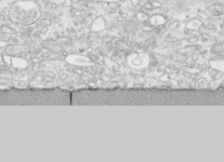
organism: Human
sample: CRL-1474